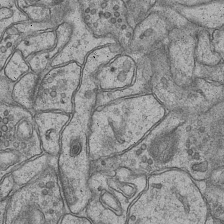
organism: Mouse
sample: CA1 Hippocampus